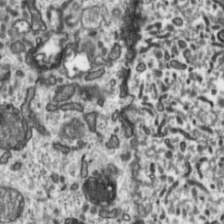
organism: Toxoplasma gondii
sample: Parasites in a vacuole inside a host cell